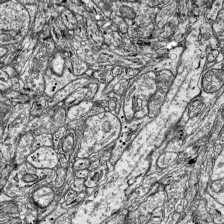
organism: Mouse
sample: Visual Cortex